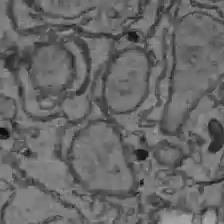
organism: C57BL Mouse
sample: Liver